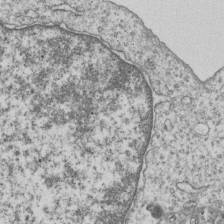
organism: Human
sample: MDA-MB-231 cells